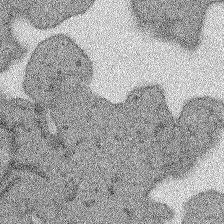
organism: Human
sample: HeLa cells